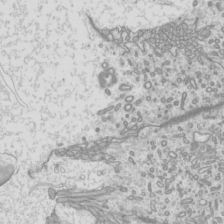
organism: Mouse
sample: Cilia; mouse epididymis